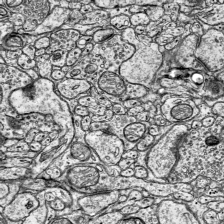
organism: Mouse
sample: Visual Cortex